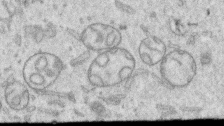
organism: Human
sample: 1205lu cells